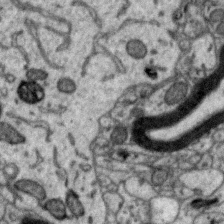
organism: Zebra finch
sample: Brain